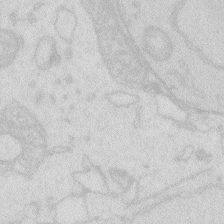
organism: Zebrafish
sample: Macrophage